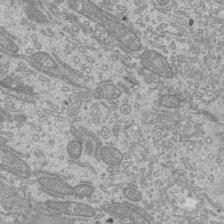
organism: Mouse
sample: Cilia; mouse epididymis